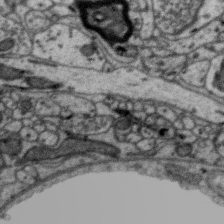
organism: Zebra finch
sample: Brain